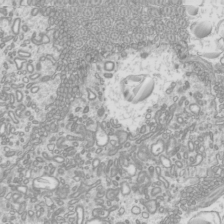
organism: Mouse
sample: Cilia; mouse epididymis